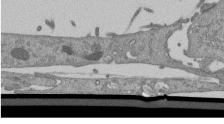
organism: Mouse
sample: ED-1 cell nuclei; centrioles